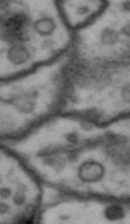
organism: Drosophila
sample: Brain